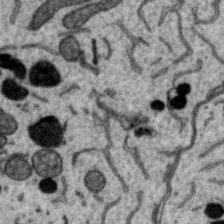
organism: Zebra finch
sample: Brain